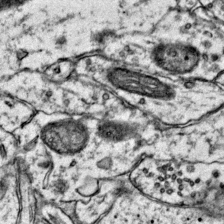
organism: Mouse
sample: Primary visual cortex